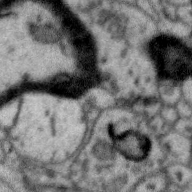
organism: Zebra finch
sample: Brain